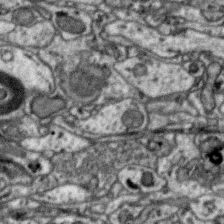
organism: Zebra finch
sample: Brain